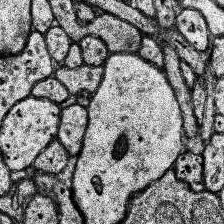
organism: Human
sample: Temporal Lobe